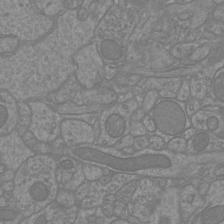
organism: Mouse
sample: Cortical neurons